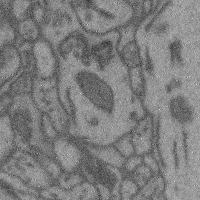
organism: Mouse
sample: Cerebral cortex